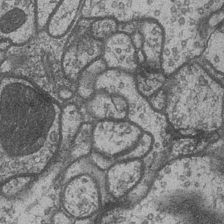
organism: Drosophila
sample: Optic medulla